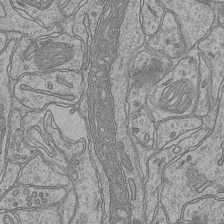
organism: Mouse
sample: CA1 Hippocampus